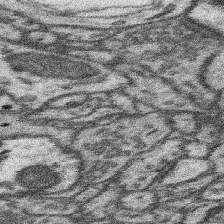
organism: Mouse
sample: Somatosensory cortex neuropil